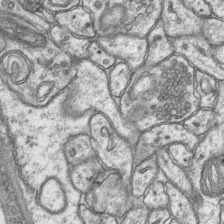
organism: Mouse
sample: CA1 Hippocampus